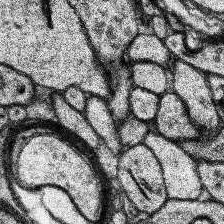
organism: Human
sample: Temporal Lobe